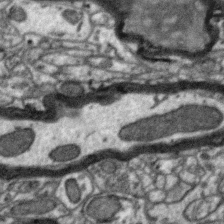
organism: Zebra finch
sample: Brain